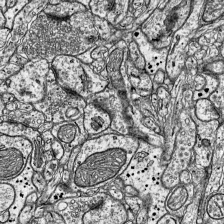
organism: Mouse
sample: Visual Cortex